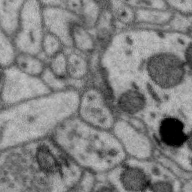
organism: Zebra finch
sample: Brain